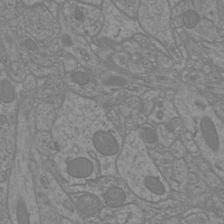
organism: Mouse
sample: Cortical neurons